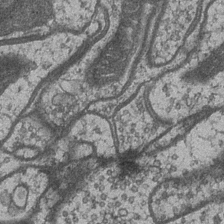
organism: Drosophila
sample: Optic medulla